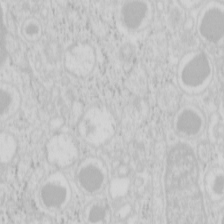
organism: Mouse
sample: Pancreas